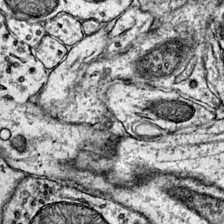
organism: Mouse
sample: Primary visual cortex